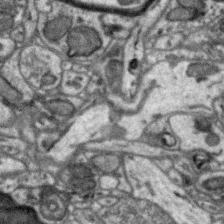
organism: Zebra finch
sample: Brain